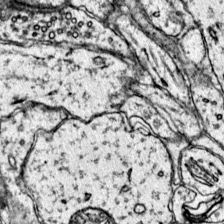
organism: Mouse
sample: Primary visual cortex